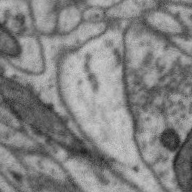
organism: Zebra finch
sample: Brain